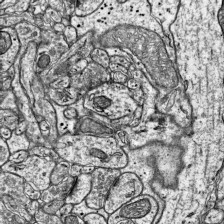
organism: Mouse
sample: Visual Cortex